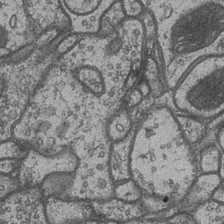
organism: Drosophila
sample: Optic medulla